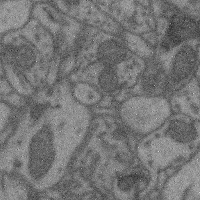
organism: Mouse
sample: Cerebral cortex